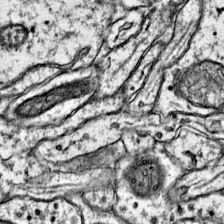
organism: Mouse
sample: Primary visual cortex